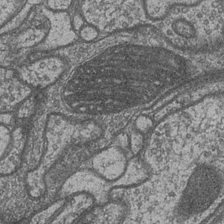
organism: Drosophila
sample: Optic medulla